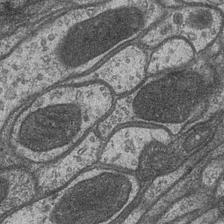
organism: Drosophila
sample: Optic medulla